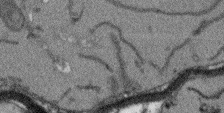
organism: Arabidopsis thaliana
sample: Root tip